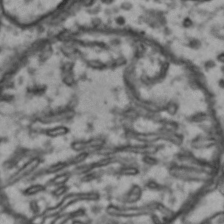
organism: Drosophila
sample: Brain